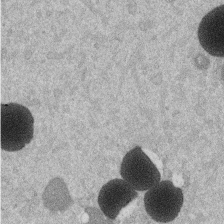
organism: Mouse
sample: Dividing mouse embryo 1 cell stage